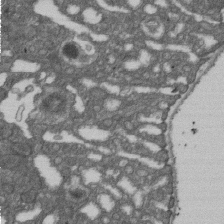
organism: Drosophila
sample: Nephrocyte